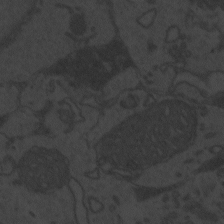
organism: Zebrafish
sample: Macrophage infected with Toxoplasma gondii